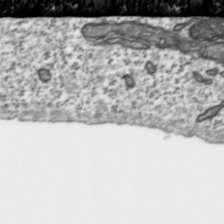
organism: Toxoplasma gondii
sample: Parasites in a vacuole inside a host cell